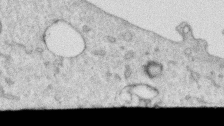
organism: Human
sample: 1205lu cells